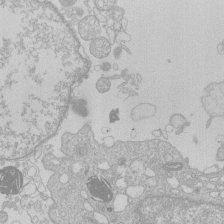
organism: Human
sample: Macrophage cells